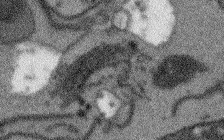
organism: Arabidopsis thaliana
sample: Root tip